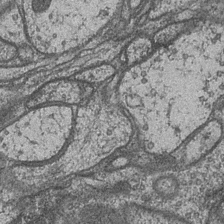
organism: Drosophila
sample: Optic medulla